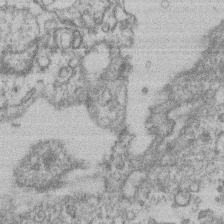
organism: Mouse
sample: T cell stromal cell synapse